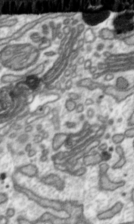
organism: Toxoplasma gondii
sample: Parasites in a vacuole inside a host cell